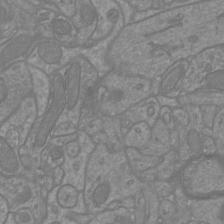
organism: Mouse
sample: Cortical neurons